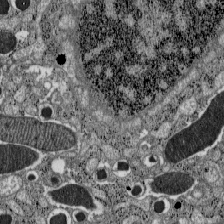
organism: C57BL Mouse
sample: Pancreatic islet